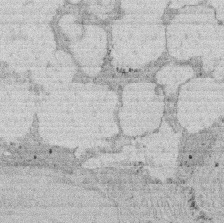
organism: Rat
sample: Salivary granule